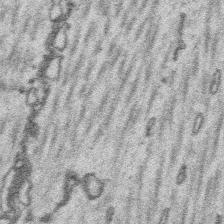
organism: Platynereis dumerilii